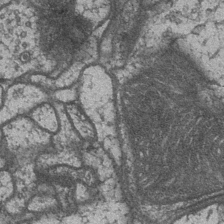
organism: Drosophila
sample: Optic medulla